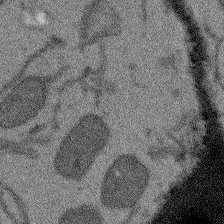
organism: Arabidopsis thaliana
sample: Root tip